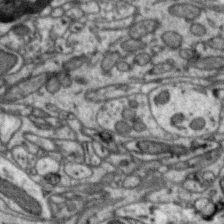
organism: Zebra finch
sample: Brain